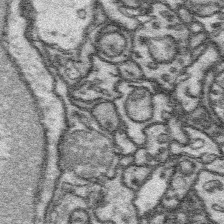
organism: Platynereis dumerilii